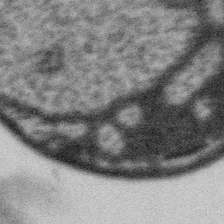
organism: Gemmata obscuriglobus